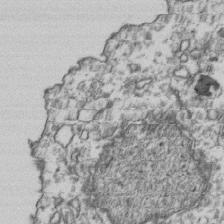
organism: Human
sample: Activated Jurkat CD4+ T cells